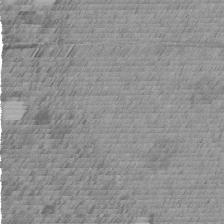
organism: C. elegans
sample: C. elegans embryo early stage